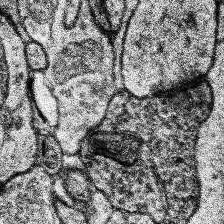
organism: Human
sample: Temporal Lobe